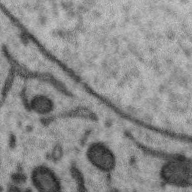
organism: Zebra finch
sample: Brain